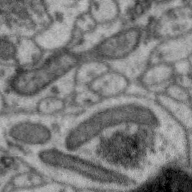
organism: Zebra finch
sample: Brain